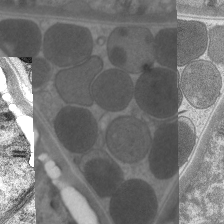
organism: C. elegans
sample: Pharynx